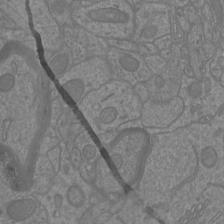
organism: Mouse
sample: Cortical neurons